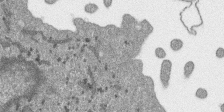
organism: Human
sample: Lung epithelial cells infected with SARS-CoV-2